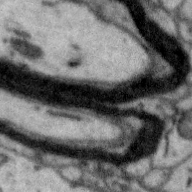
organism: Zebra finch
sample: Brain